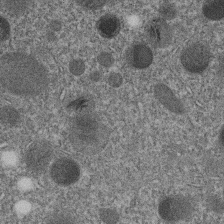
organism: C. elegans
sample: C. elegans embryo early stage